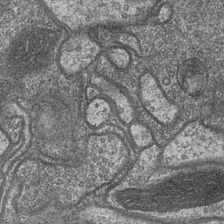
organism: Drosophila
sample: Optic medulla